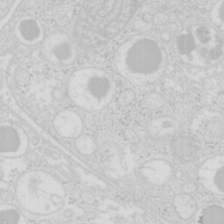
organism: Mouse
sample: Pancreas